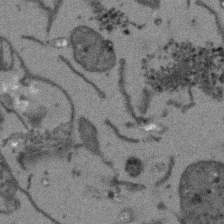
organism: Arabidopsis thaliana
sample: Root tip